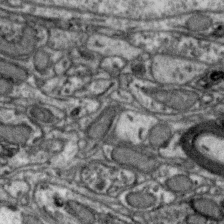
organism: Zebra finch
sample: Brain